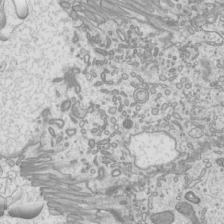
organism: Mouse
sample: Cilia; mouse epididymis